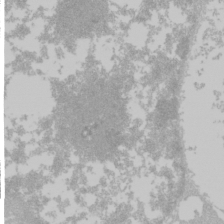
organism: Mouse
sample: Cancer cell death in ED-1 cells